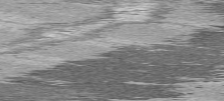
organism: C57BL Mouse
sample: Heart